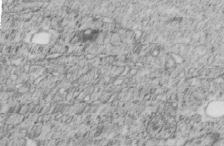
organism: C. elegans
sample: C. elegans embryo early stage